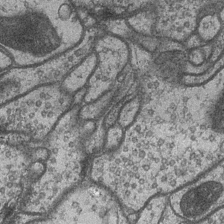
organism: Drosophila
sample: Optic medulla